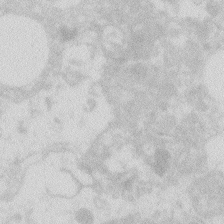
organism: Zebrafish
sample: Macrophage